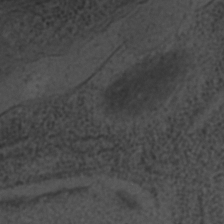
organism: C. elegans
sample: C. elegans embryo